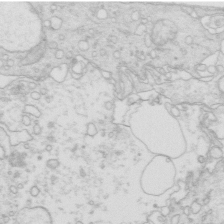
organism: Mouse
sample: Multiciliated cells